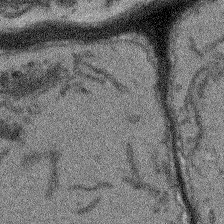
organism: Arabidopsis thaliana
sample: Root tip